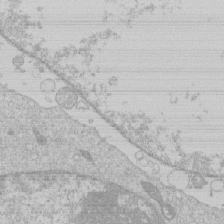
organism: Human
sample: Macrophage cells